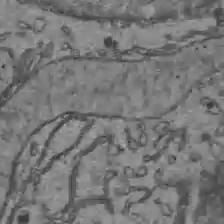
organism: C57BL Mouse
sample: Liver